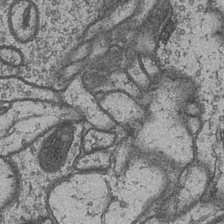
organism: Drosophila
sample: Optic medulla